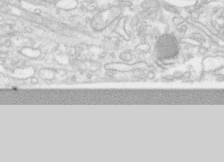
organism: Human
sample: CRL-1474